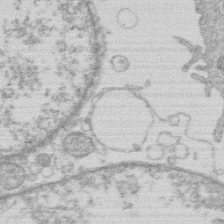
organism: Human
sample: Macrophage cells